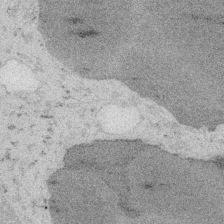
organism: Embia sp.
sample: Silk gland